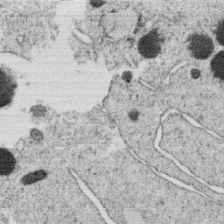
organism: C. elegans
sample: C. elegans oocyte; sperm cells